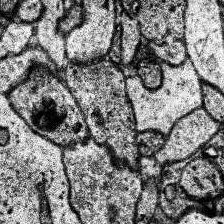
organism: Human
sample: Temporal Lobe